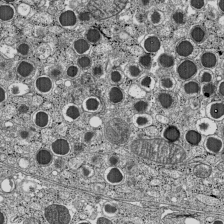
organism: C57BL Mouse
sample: Pancreatic islet